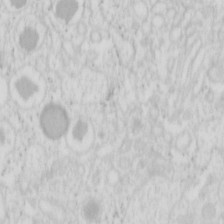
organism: Mouse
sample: Pancreas